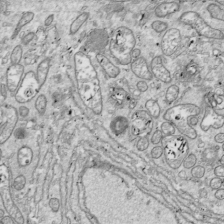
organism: Drosophila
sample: Cell division; meiosis; drosophila spermatocytes